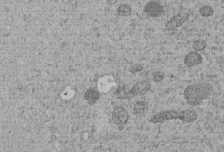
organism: C. elegans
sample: C. elegans embryo early stage